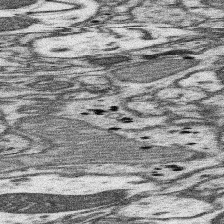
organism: Mouse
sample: Somatosensory cortex neuropil